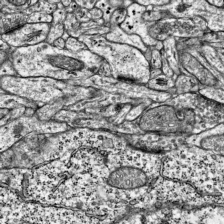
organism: Mouse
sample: Visual Cortex